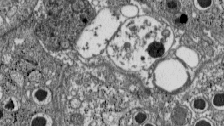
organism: C57BL Mouse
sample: Pancreatic islet